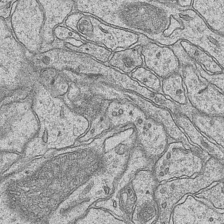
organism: Mouse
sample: CA1 Hippocampus